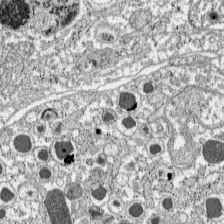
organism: C57BL Mouse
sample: Pancreatic islet